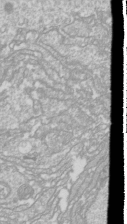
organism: Drosophila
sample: Cell division; meiosis; drosophila spermatocytes